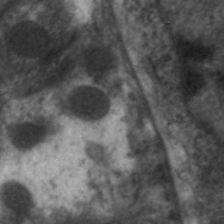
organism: C. elegans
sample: Pharynx